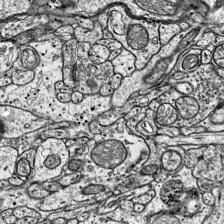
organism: Mouse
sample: Visual Cortex